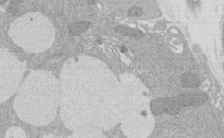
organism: Rat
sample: Salivary granule